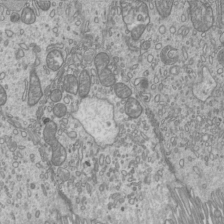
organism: Mouse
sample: Cilia; mouse epididymis